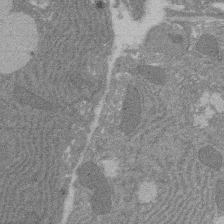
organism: Rat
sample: Salivary granule